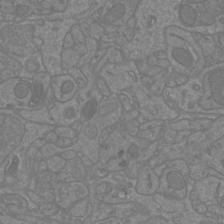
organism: Mouse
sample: Cortical neurons